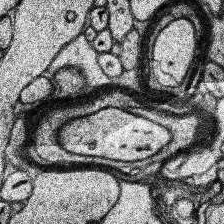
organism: Human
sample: Temporal Lobe